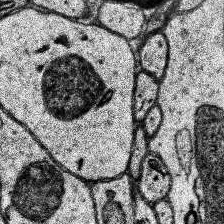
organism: Human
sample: Temporal Lobe